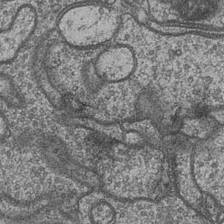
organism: Drosophila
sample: Optic medulla